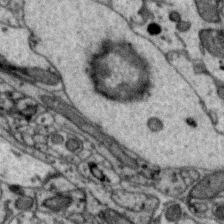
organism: Zebra finch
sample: Brain